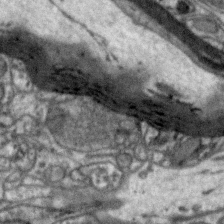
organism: Zebra finch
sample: Brain